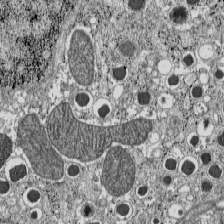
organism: C57BL Mouse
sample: Pancreatic islet